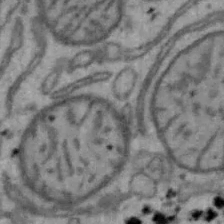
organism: Mouse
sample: Liver